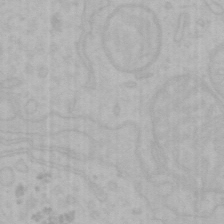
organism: Mouse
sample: Choroid plexus